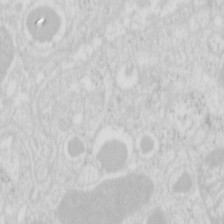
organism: Mouse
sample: Pancreas